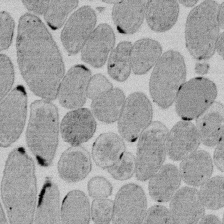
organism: E. coli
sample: Bacterial nucleoid